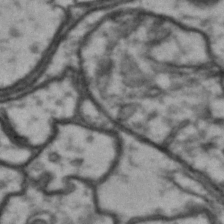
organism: Drosophila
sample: Brain